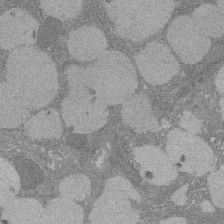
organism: Rat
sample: Salivary granule